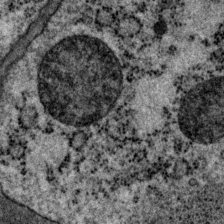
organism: P. pacificus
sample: Pharynx